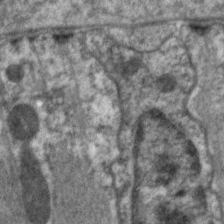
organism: C. elegans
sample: Pharynx